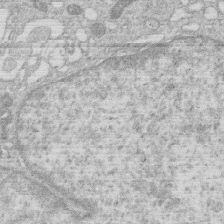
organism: Human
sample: Macrophage cells